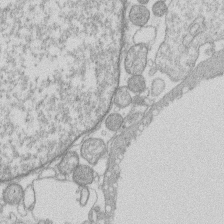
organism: Human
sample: Macrophage cells